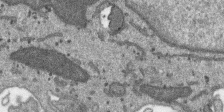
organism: Human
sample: Lung epithelial cells infected with SARS-CoV-2